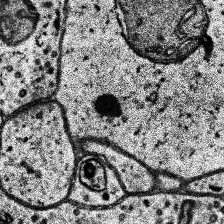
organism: Human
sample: Temporal Lobe